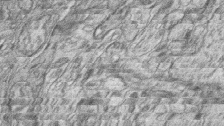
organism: Zebrafish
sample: synaptic ribbons in rod cells and cone cells